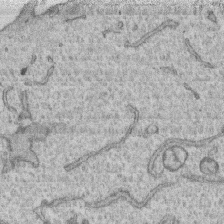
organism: Human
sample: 1205lu cells